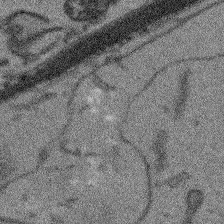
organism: Arabidopsis thaliana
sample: Root tip